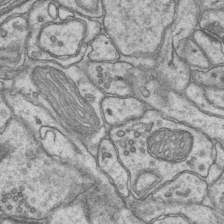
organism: Mouse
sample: CA1 Hippocampus